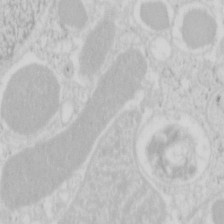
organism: Mouse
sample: Pancreas